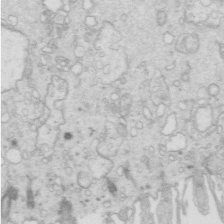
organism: Mouse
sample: Multiciliated cells